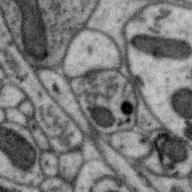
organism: Zebra finch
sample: Brain